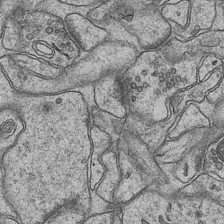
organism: Mouse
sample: CA1 Hippocampus